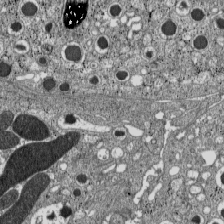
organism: C57BL Mouse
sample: Pancreatic islet